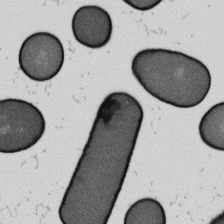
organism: B. subtilis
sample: Bacterial spore